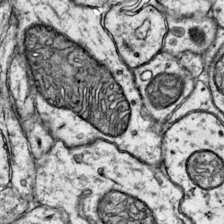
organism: Mouse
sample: Primary visual cortex